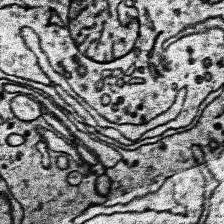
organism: Human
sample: Temporal Lobe